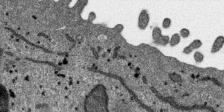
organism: Human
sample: Lung epithelial cells, uninfected (mock) control